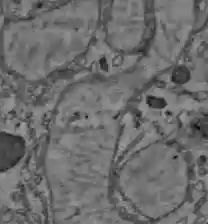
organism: C57BL Mouse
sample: Liver